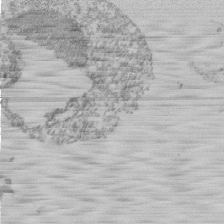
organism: Mouse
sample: Activated Pmel transgenic CD8+ T Cells